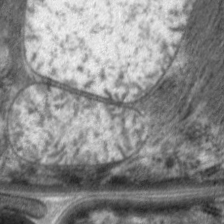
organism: C. elegans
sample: Pharynx